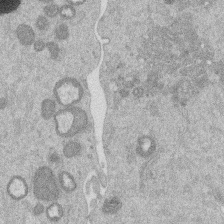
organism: Mouse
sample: Dividing mouse embryo 1 cell stage